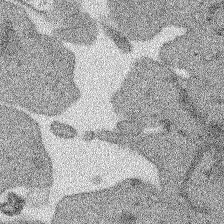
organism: Human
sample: HeLa cells